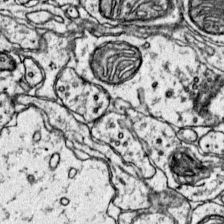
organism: Mouse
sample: Primary visual cortex